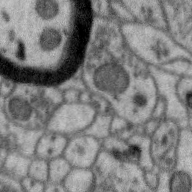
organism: Zebra finch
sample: Brain